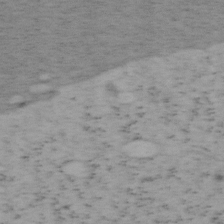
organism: Mouse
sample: OT-I killer T cells with ID8 ovarian cancer cells